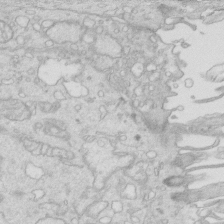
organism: Mouse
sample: Multiciliated cells